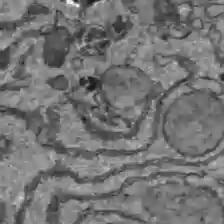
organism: C57BL Mouse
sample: Liver